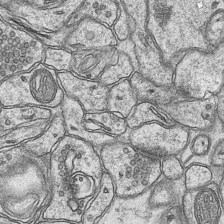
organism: Mouse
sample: CA1 Hippocampus